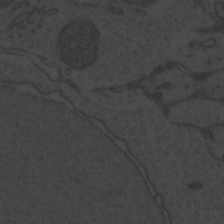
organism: Zebrafish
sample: Macrophage infected with Toxoplasma gondii